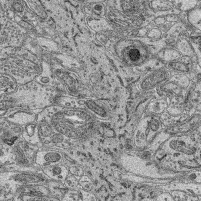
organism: Mouse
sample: Retina